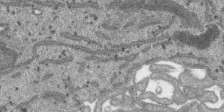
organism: Human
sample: Lung epithelial cells infected with SARS-CoV-2